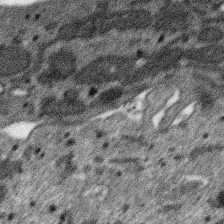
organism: Human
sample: Lung epithelial cells infected with SARS-CoV-2